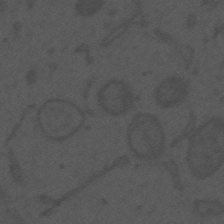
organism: Mouse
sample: Suprachiasmatic nucleus